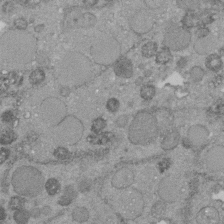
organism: C. elegans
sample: C. elegans embryo early stage